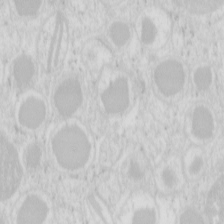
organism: Mouse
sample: Pancreas